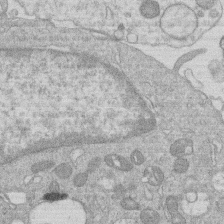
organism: Human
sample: Macrophage cells